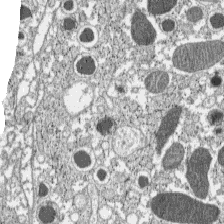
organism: C57BL Mouse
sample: Pancreatic islet